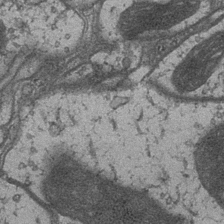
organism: Drosophila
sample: Optic medulla